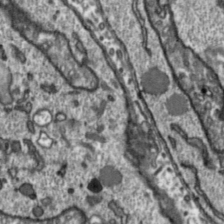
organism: Toxoplasma gondii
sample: Parasites in a vacuole inside a host cell